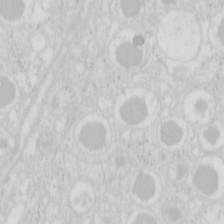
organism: Mouse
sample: Pancreas